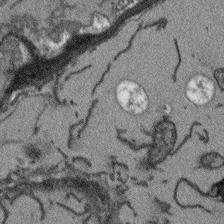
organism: Arabidopsis thaliana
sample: Root tip